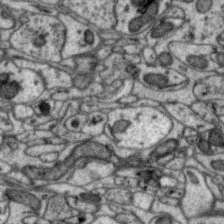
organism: Zebra finch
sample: Brain